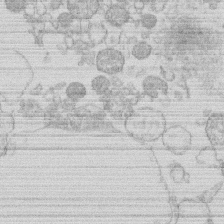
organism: Human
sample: Macrophage cells